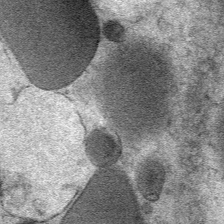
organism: Mouse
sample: Mouse Salivary gland